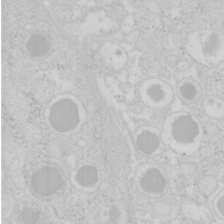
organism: Mouse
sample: Pancreas